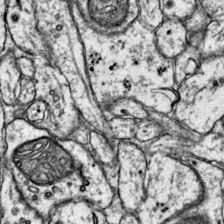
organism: Mouse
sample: Primary visual cortex